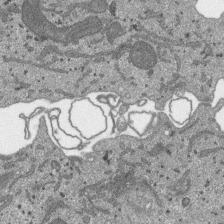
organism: Human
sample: Lung epithelial cells infected with SARS-CoV-2